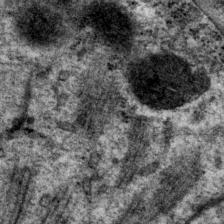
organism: P. pacificus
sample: Pharynx